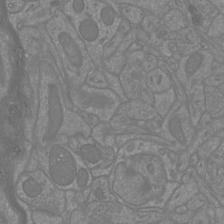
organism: Mouse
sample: Cortical neurons